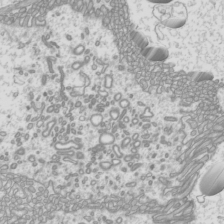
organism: Mouse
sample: Cilia; mouse epididymis